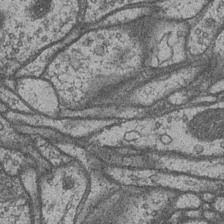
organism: Drosophila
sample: Optic medulla